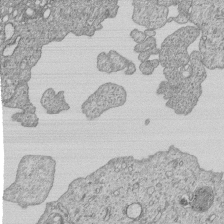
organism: Human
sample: MDA-MB-231 cells